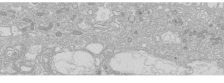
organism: Human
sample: Caco-2 cells